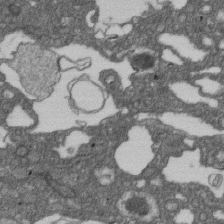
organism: Drosophila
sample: Nephrocyte